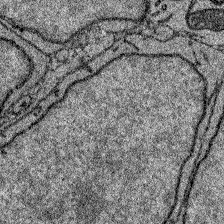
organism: Zebrafish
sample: Larval olfactory bulb